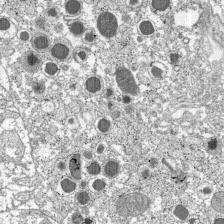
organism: C57BL Mouse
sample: Pancreatic islet